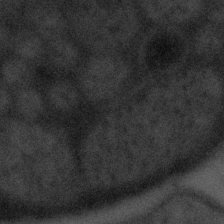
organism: Tuwongella immobilis